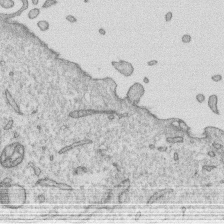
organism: Human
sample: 1205lu cells